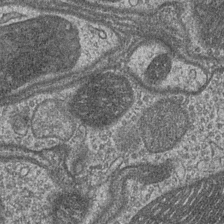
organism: Drosophila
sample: Optic medulla